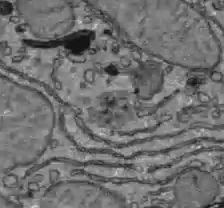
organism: C57BL Mouse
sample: Liver